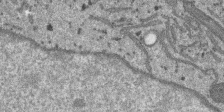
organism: Human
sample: Lung epithelial cells infected with SARS-CoV-2